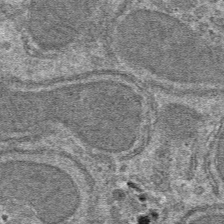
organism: Mouse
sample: Mouse hepatocytes